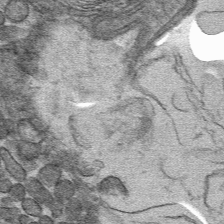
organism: Mouse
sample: Mouse hepatocytes